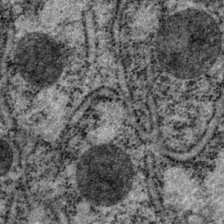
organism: P. pacificus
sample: Pharynx